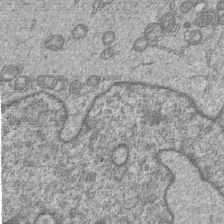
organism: Human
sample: MDA-MB-231 cells